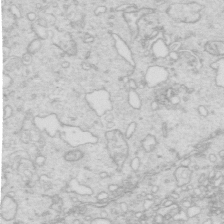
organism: Mouse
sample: Multiciliated cells